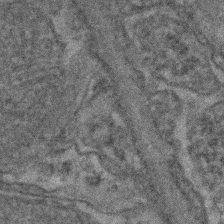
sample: Kidney